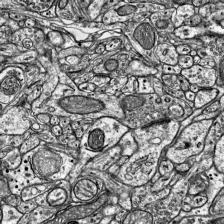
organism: Mouse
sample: Visual Cortex